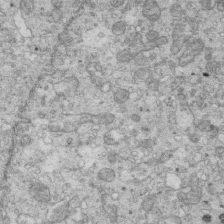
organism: Mouse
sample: Multiciliated cells